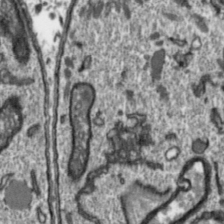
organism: Toxoplasma gondii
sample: Parasites in a vacuole inside a host cell